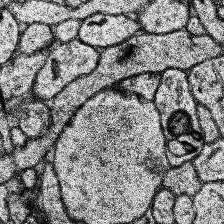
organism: Human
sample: Temporal Lobe